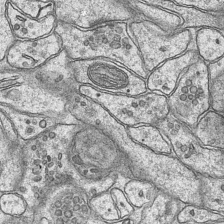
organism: Mouse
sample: CA1 Hippocampus